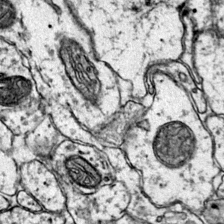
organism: Mouse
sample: Primary visual cortex